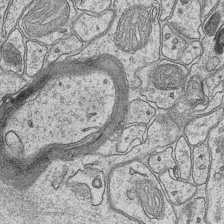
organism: Mouse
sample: CA1 Hippocampus